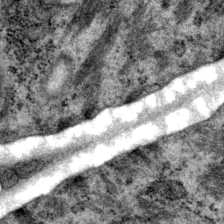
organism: P. pacificus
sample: Pharynx